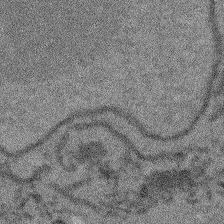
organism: Arabidopsis thaliana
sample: Root tip